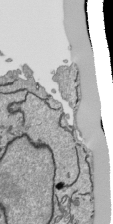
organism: Human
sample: Mitochondria in HCT116 cells